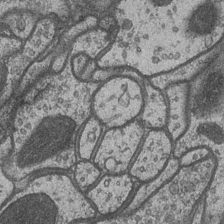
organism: Drosophila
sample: Optic medulla